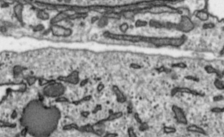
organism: Toxoplasma gondii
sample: Parasites in a vacuole inside a host cell